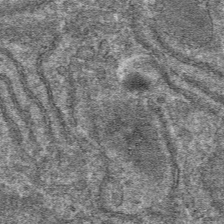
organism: Mouse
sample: Mouse hepatocytes